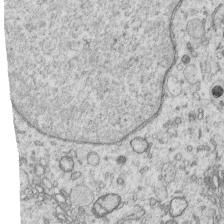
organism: Human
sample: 1205lu cells